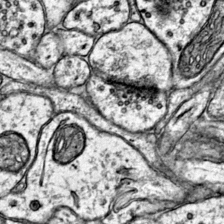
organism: Mouse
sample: Primary visual cortex